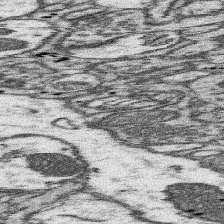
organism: Mouse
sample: Somatosensory cortex neuropil